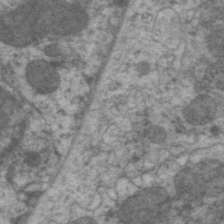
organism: C. elegans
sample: Pharynx